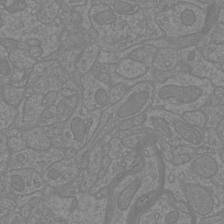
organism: Mouse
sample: Cortical neurons